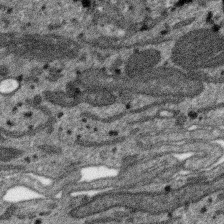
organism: Human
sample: Lung epithelial cells infected with SARS-CoV-2